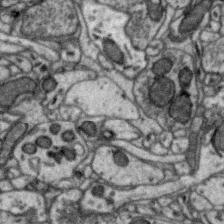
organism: Zebra finch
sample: Brain